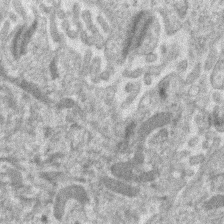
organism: Human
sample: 1205lu cells